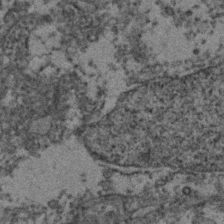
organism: Zebrafish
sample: Zebrafish embryo